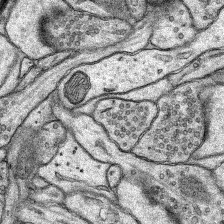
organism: Rat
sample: Hippocampus